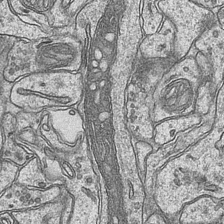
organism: Mouse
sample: CA1 Hippocampus